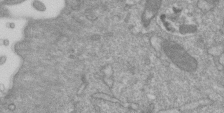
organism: Mouse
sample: ED-1 cell nuclei; centrioles